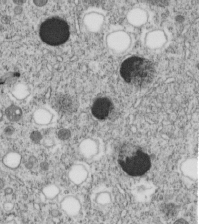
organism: C. elegans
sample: C. elegans embryo early stage